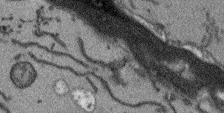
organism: Arabidopsis thaliana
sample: Root tip